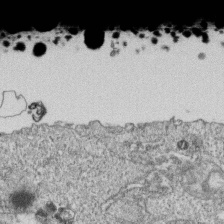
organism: Human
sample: HeLa cell HIV synapse